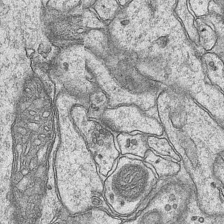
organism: Mouse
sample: CA1 Hippocampus